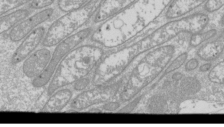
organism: Drosophila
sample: Cell division; meiosis; drosophila spermatocytes